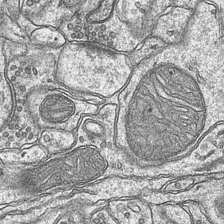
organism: Mouse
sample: CA1 Hippocampus